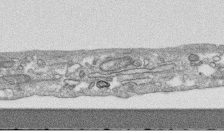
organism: Human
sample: CRL-1474